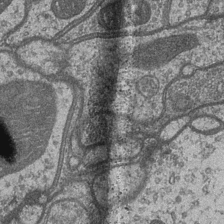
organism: Drosophila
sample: Optic medulla